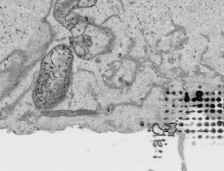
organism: Human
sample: Mitochondria in HCT116 cells